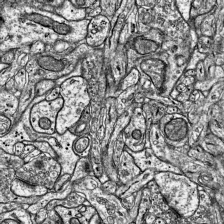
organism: Mouse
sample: Visual Cortex